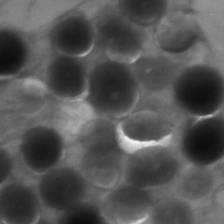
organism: Zebrafish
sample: Zebrafish embryo